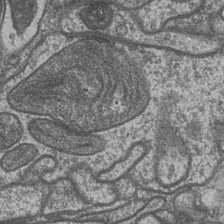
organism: Drosophila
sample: Optic medulla